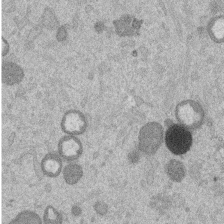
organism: Mouse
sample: Dividing mouse embryo 1 cell stage